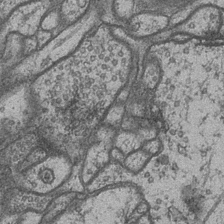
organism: Drosophila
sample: Optic medulla